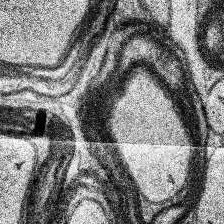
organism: Human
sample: Temporal Lobe